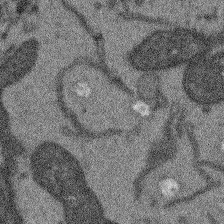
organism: Arabidopsis thaliana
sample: Root tip